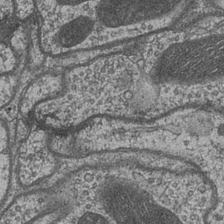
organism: Drosophila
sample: Optic medulla